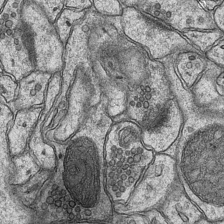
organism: Mouse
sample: CA1 Hippocampus